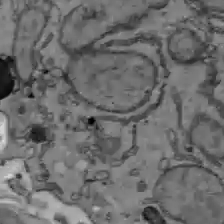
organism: C57BL Mouse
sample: Liver